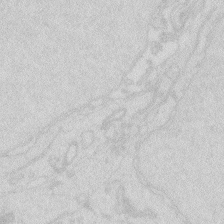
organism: Zebrafish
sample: Macrophage